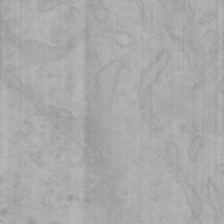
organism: Mouse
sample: Choroid plexus